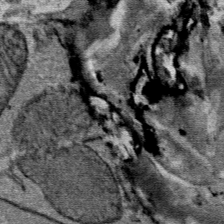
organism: Mouse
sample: Mouse Salivary gland